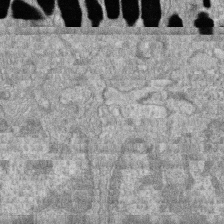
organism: Zebrafish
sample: Cilia; retinal pigment epithelium